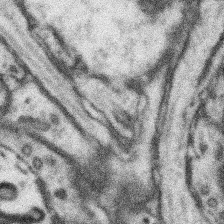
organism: Mouse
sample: Somatosensory cortex neuropil